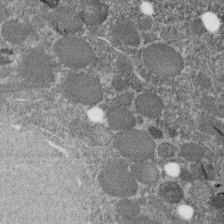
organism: C. elegans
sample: C. elegans embryo early stage